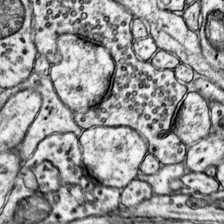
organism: Mouse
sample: Primary visual cortex